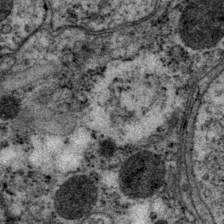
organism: P. pacificus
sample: Pharynx